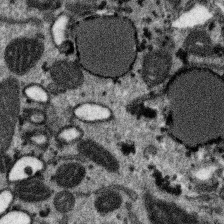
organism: Human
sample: Lung epithelial cells infected with SARS-CoV-2